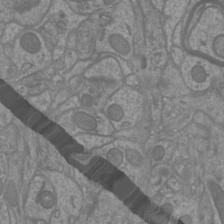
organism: Mouse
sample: Cortical neurons